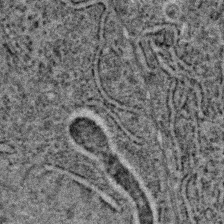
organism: C. elegans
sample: C. elegans embryo